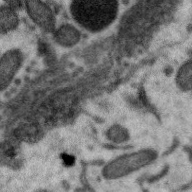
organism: Zebra finch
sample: Brain